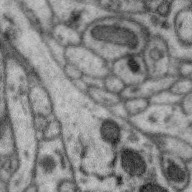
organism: Zebra finch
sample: Brain